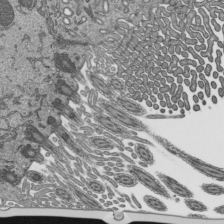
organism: Mouse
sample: Mouse epididymis efferent ductule cilia